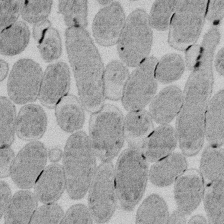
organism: E. coli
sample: Bacterial nucleoid